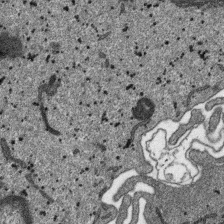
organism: Human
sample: Lung epithelial cells infected with SARS-CoV-2